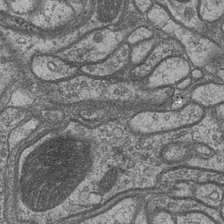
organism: Drosophila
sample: Optic medulla